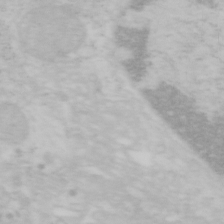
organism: Mouse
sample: OT-I killer T cells with ID8 ovarian cancer cells